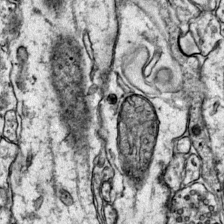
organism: Mouse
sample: Primary visual cortex